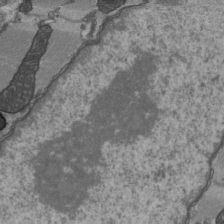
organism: C57BL Mouse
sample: Heart